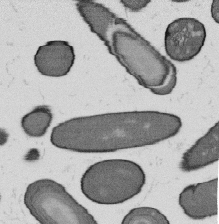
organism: B. subtilis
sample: Bacterial spore